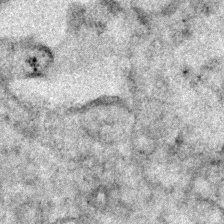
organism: Human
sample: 1205lu cells